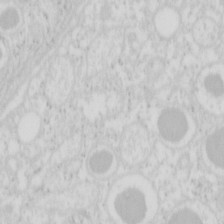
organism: Mouse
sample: Pancreas